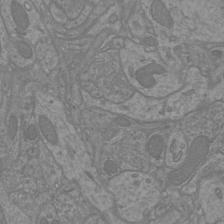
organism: Mouse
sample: Cortical neurons